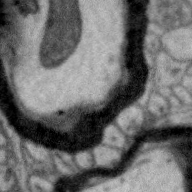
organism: Zebra finch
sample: Brain